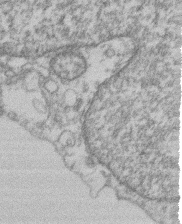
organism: Mouse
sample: T cell stromal cell synapse